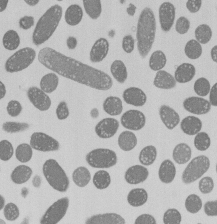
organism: E. coli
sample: Bacterial nucleoid